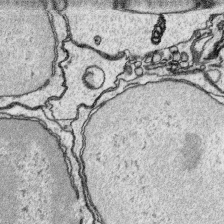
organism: Platynereis dumerilii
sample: Parapodia